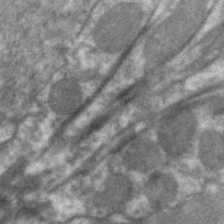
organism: C. elegans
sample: Pharynx